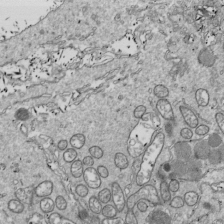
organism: Drosophila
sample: Cell division; meiosis; drosophila spermatocytes